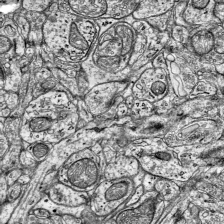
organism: Mouse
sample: Visual Cortex